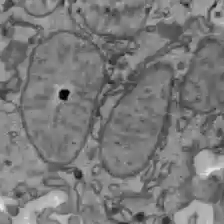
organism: C57BL Mouse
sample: Liver